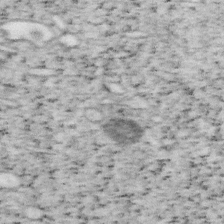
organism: Mouse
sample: OT-I killer T cells with ID8 ovarian cancer cells